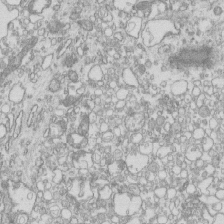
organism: Mouse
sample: Macrophages